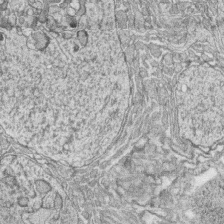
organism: Zebrafish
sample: synaptic ribbons in rod cells and cone cells